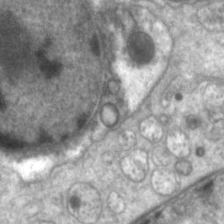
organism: C. elegans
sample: Pharynx